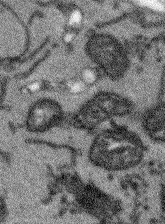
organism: Arabidopsis thaliana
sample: Root tip